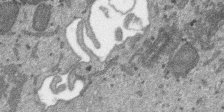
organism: Human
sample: Lung epithelial cells infected with SARS-CoV-2